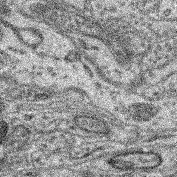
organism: Mouse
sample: Retina